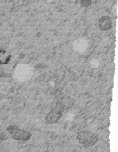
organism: C. elegans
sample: C. elegans embryo early stage